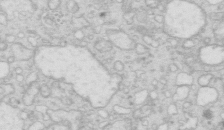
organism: Mouse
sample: Multiciliated cells